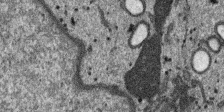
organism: Human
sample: Lung epithelial cells infected with SARS-CoV-2